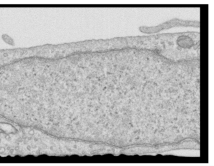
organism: Human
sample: Centriole in RPE cells